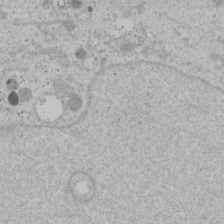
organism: Human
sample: Mitochondria in U2OS cells